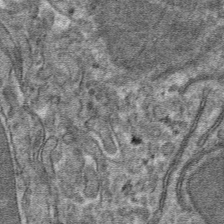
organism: Mouse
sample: Mouse hepatocytes